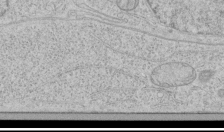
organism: Human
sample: Mitochondria in HCT116 cells